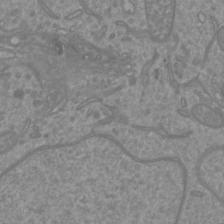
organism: Mouse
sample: Cortical neurons